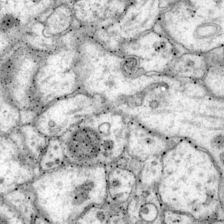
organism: Mouse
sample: Primary visual cortex